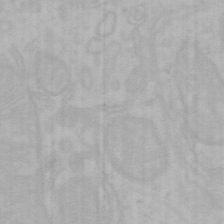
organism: Mouse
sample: Choroid plexus